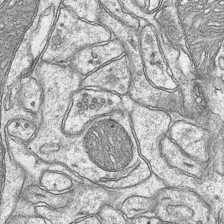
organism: Mouse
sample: CA1 Hippocampus